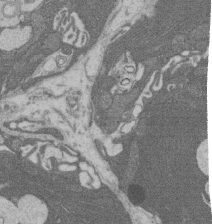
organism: Rat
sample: Salivary granule